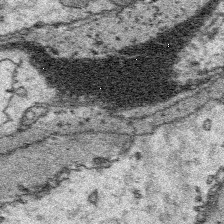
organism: Platynereis dumerilii